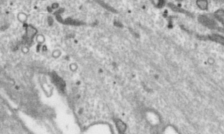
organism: Toxoplasma gondii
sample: Parasites in a vacuole inside a host cell